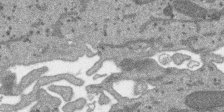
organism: Human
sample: Lung epithelial cells infected with SARS-CoV-2